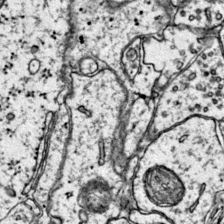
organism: Mouse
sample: Primary visual cortex